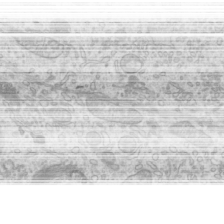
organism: Mouse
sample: Cilia; mouse epididymis